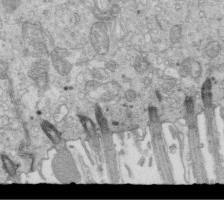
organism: Mouse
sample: Multiciliated cells